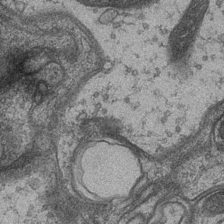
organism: Drosophila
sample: Optic medulla